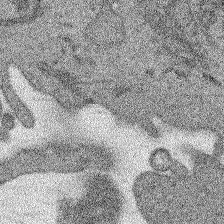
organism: Human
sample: HeLa cells